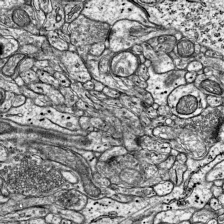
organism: Mouse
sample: Visual Cortex